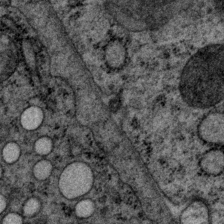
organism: P. pacificus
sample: Pharynx